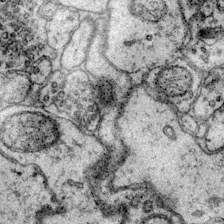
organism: Mouse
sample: Primary visual cortex